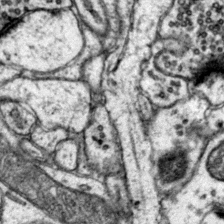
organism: Mouse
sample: Primary visual cortex